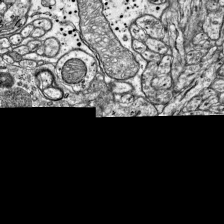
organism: Mouse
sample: Visual Cortex